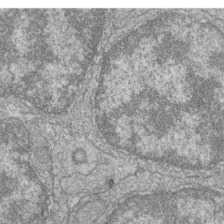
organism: Zebrafish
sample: Cilia; retinal pigment epithelium